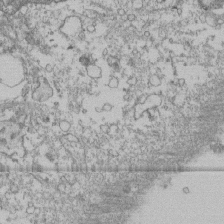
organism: Human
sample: Fibroblast cells